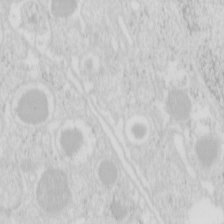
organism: Mouse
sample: Pancreas